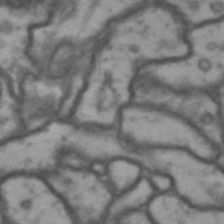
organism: Drosophila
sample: Brain